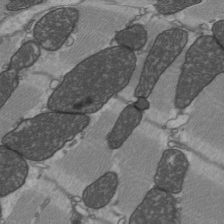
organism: C57BL Mouse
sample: Heart